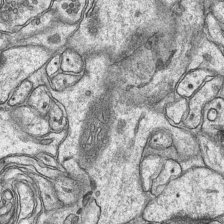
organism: Mouse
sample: CA1 Hippocampus